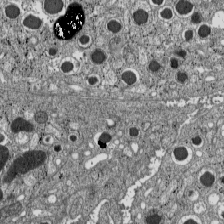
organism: C57BL Mouse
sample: Pancreatic islet